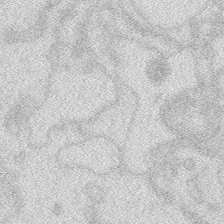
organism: Zebrafish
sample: Macrophage